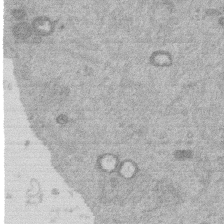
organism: Mouse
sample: Dividing mouse embryo 1 cell stage